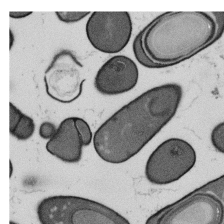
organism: B. subtilis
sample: Bacterial spore